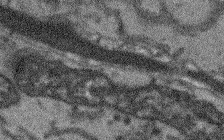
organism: Arabidopsis thaliana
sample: Root tip